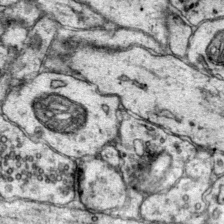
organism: Mouse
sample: Primary visual cortex